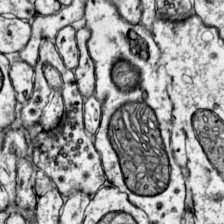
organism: Mouse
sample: Primary visual cortex